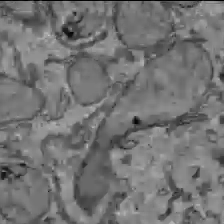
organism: C57BL Mouse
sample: Liver